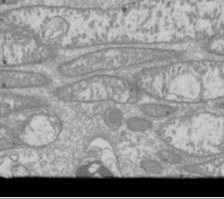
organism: Drosophila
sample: Cell division; meiosis; drosophila spermatocytes